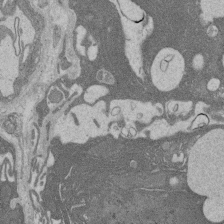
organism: Rat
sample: Salivary granule